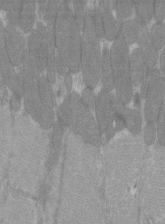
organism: C57BL Mouse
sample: Tibialis anterior muscle cell